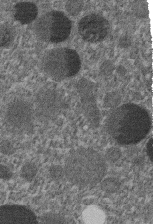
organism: C. elegans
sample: C. elegans embryo early stage